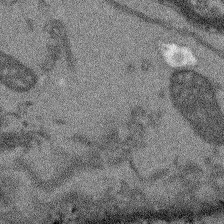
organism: Arabidopsis thaliana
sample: Root tip